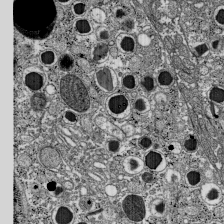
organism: C57BL Mouse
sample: Pancreatic islet